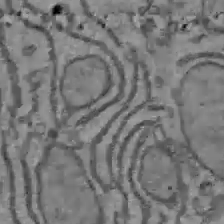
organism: C57BL Mouse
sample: Liver